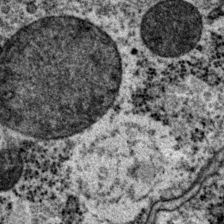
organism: P. pacificus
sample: Pharynx